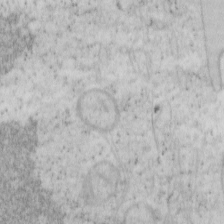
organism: Human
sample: HeLa cells